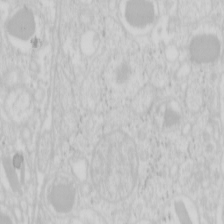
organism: Mouse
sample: Pancreas